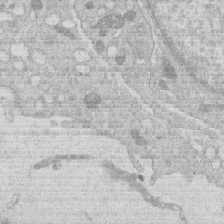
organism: Human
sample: Macrophage cells